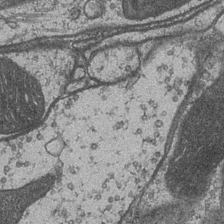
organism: Drosophila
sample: Optic medulla